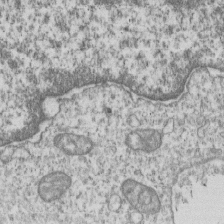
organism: Human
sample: MDA-MB-231 cells